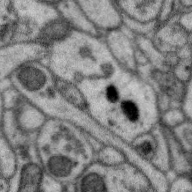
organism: Zebra finch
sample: Brain